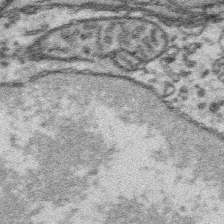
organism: Platynereis dumerilii